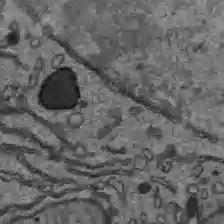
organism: C57BL Mouse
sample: Liver